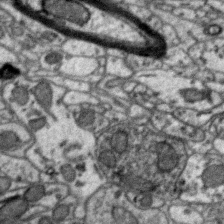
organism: Zebra finch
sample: Brain